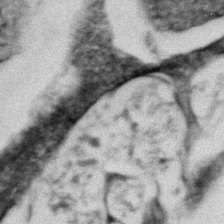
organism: Zebrafish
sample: Zebrafish embryo